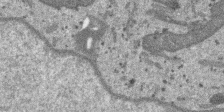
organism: Human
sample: Lung epithelial cells infected with SARS-CoV-2